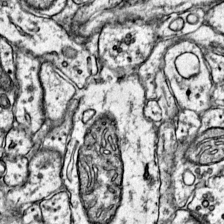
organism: Mouse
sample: Primary visual cortex